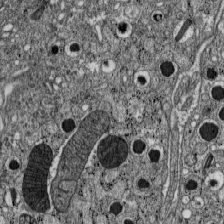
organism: C57BL Mouse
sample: Pancreatic islet